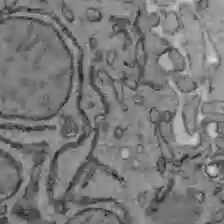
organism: C57BL Mouse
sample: Liver